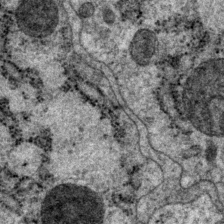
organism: P. pacificus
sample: Pharynx